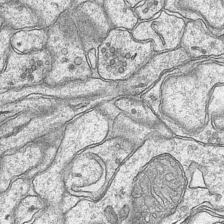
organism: Mouse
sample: CA1 Hippocampus